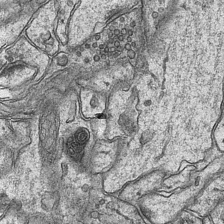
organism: Mouse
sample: CA1 Hippocampus